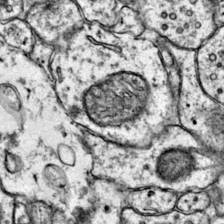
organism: Mouse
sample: Primary visual cortex